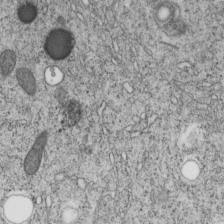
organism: C. elegans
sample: C. elegans embryo early stage